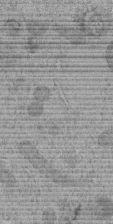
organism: C. elegans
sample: C. elegans embryo early stage